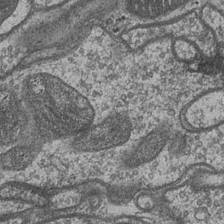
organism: Drosophila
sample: Optic medulla